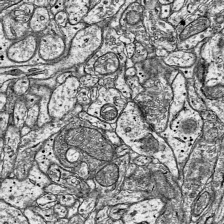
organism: Mouse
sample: Visual Cortex